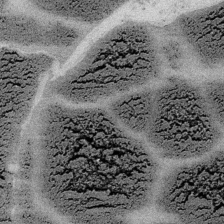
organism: Embia sp.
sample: Silk gland